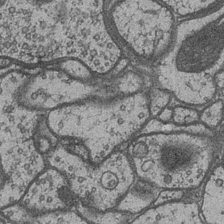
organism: Drosophila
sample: Optic medulla